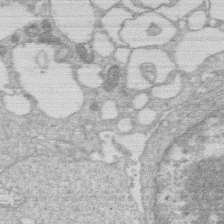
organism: Human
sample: Macrophage cells